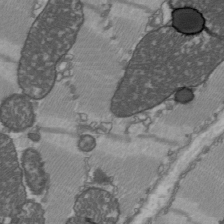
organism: C57BL Mouse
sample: Heart